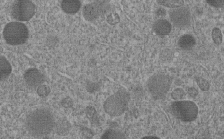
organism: C. elegans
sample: C. elegans embryo early stage